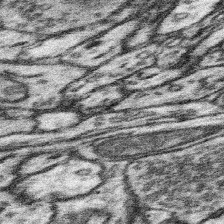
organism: Mouse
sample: Somatosensory cortex neuropil